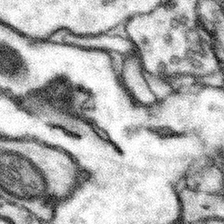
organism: Mouse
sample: Somatosensory cortex neuropil